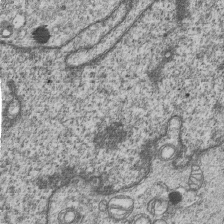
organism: Human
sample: MDA-MB-231 cells